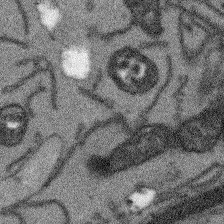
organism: Arabidopsis thaliana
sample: Root tip